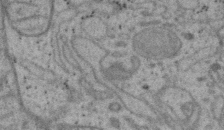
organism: Human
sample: HeLa cells